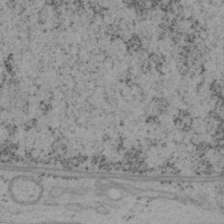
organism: Human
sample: HeLa cells